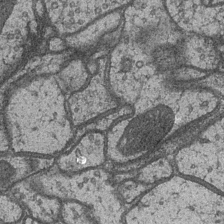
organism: Drosophila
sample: Optic medulla